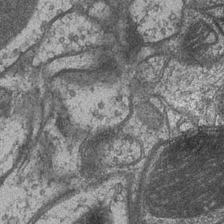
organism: Drosophila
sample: Optic medulla